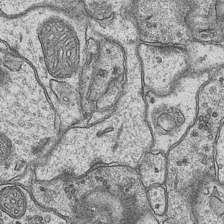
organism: Mouse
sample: CA1 Hippocampus